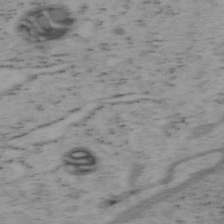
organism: Mouse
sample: OT-I killer T cells with ID8 ovarian cancer cells